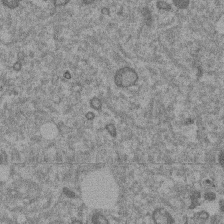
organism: Mouse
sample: Dividing mouse embryo 1 cell stage